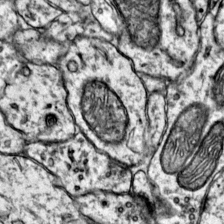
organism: Mouse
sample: Primary visual cortex